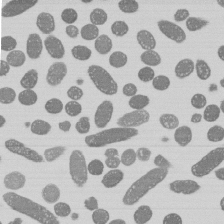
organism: E. coli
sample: Bacterial nucleoid